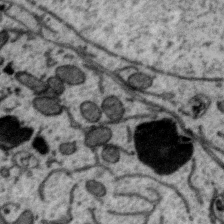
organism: Zebra finch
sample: Brain